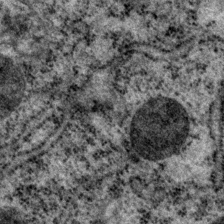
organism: P. pacificus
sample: Pharynx